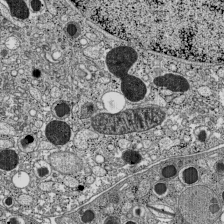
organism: C57BL Mouse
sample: Pancreatic islet